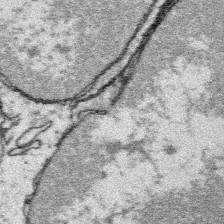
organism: Platynereis dumerilii